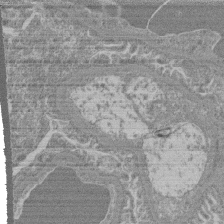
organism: Mouse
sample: Glomerulus